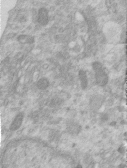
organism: Human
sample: Centriole in RPE cells